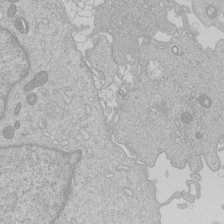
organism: Human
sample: Macrophage cells